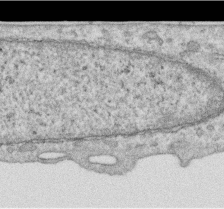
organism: Human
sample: Centriole in RPE cells